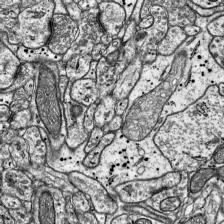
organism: Mouse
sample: Visual Cortex